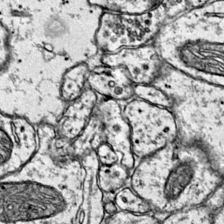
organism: Mouse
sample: Primary visual cortex